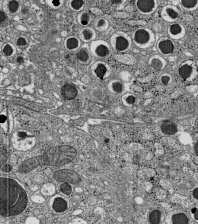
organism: C57BL Mouse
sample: Pancreatic islet